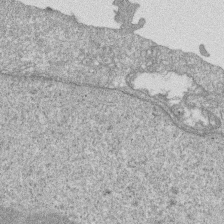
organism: Human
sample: HeLa cell HIV synapse